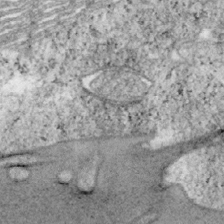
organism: Mouse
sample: OT-I killer T cells with ID8 ovarian cancer cells